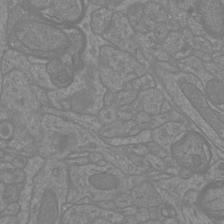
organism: Mouse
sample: Cortical neurons